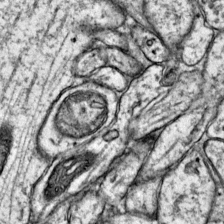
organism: Mouse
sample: Primary visual cortex